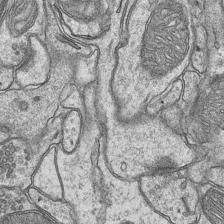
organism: Mouse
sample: CA1 Hippocampus